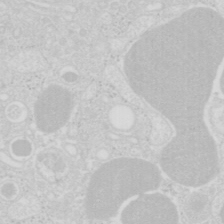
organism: Mouse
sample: Pancreas